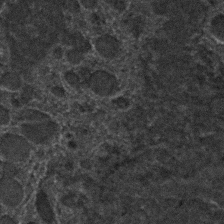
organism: C. elegans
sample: C. elegans embryo